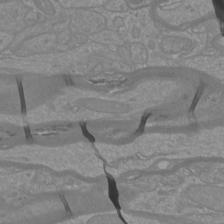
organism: Mouse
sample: Cortical neurons